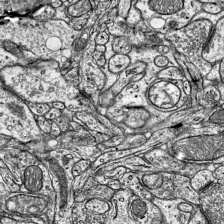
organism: Mouse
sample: Visual Cortex